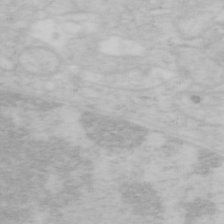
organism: Mouse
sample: OT-I killer T cells with ID8 ovarian cancer cells